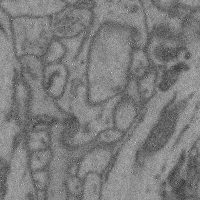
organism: Mouse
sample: Cerebral cortex